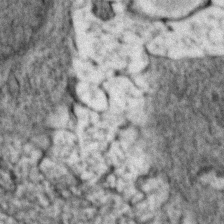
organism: Zebrafish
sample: Zebrafish embryo